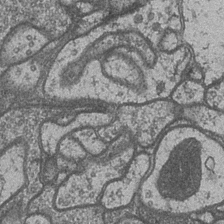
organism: Drosophila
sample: Optic medulla